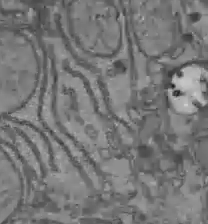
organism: C57BL Mouse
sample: Liver